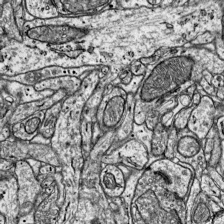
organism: Mouse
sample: Visual Cortex